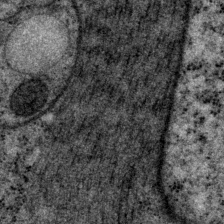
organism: P. pacificus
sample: Pharynx